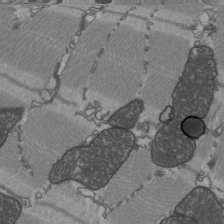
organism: C57BL Mouse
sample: Heart